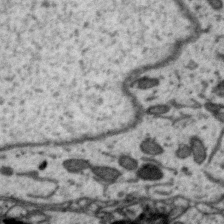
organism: Zebra finch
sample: Brain